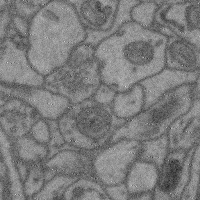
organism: Mouse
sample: Cerebral cortex